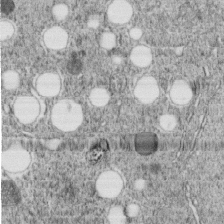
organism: C. elegans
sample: C. elegans embryo early stage